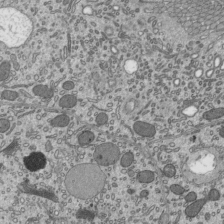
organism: Mouse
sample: Mouse epididymis efferent ductule cilia